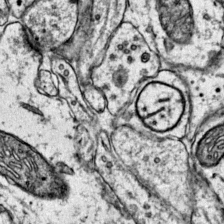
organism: Mouse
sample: Primary visual cortex